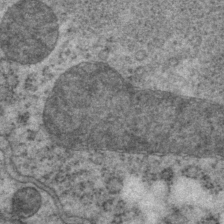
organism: P. pacificus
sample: Pharynx